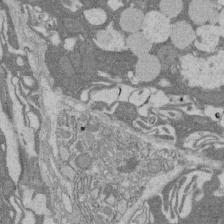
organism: Rat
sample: Salivary granule